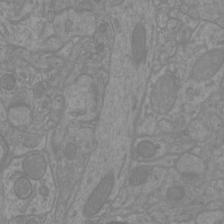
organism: Mouse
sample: Cortical neurons